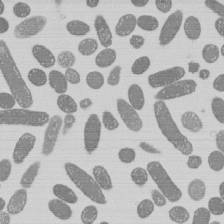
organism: E. coli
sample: Bacterial nucleoid